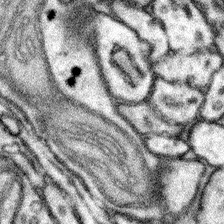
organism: Mouse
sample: Somatosensory cortex neuropil